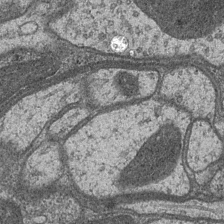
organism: Drosophila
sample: Optic medulla